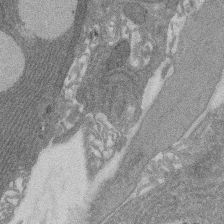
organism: Rat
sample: Salivary granule